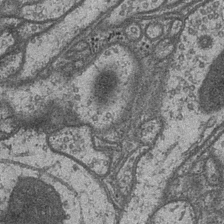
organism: Drosophila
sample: Optic medulla